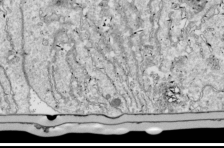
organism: Drosophila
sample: Cell division; meiosis; drosophila spermatocytes